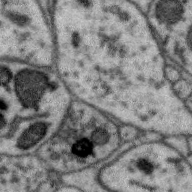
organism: Zebra finch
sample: Brain